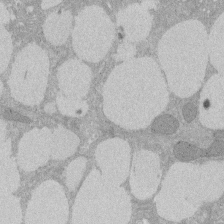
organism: Rat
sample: Salivary granule